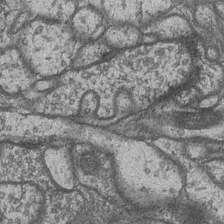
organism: Drosophila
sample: Optic medulla